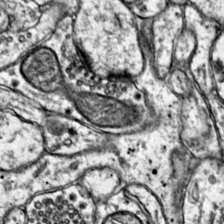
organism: Mouse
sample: Primary visual cortex